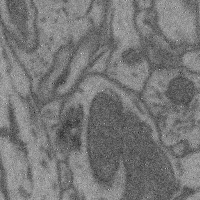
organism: Mouse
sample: Cerebral cortex